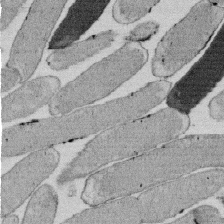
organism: E. coli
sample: Bacterial nucleoid